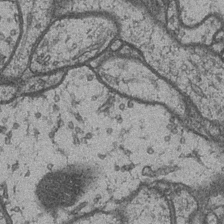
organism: Drosophila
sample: Optic medulla